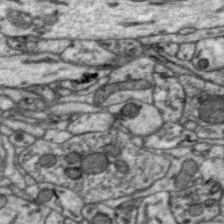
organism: Zebra finch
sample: Brain